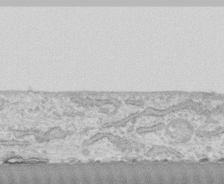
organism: Human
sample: CRL-1474